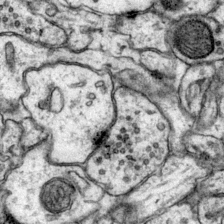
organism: Mouse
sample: Primary visual cortex